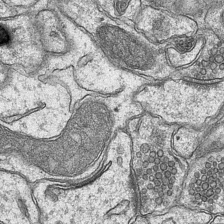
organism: Mouse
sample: CA1 Hippocampus